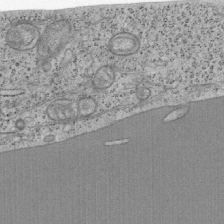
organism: Human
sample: HeLa cells